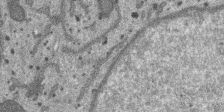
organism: Human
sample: Lung epithelial cells infected with SARS-CoV-2